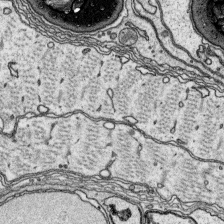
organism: Platynereis dumerilii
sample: Parapodia